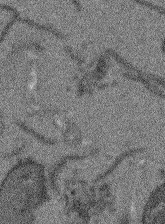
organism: Arabidopsis thaliana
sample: Root tip